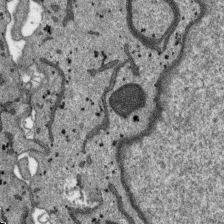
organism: Human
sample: Lung epithelial cells, uninfected (mock) control